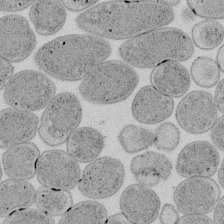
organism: E. coli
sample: Bacterial nucleoid